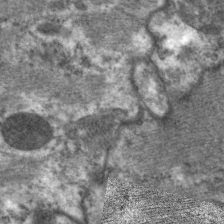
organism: C. elegans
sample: Pharynx